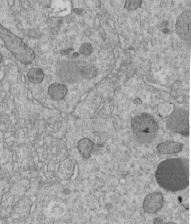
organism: C. elegans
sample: C. elegans embryo early stage